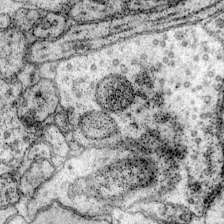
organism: Mouse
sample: Primary visual cortex